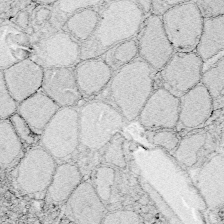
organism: Zebrafish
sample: Whole-Brain